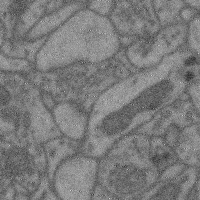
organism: Mouse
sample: Cerebral cortex